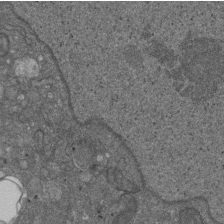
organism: Drosophila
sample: Nephrocyte